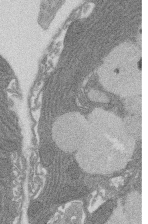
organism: Rat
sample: Salivary granule